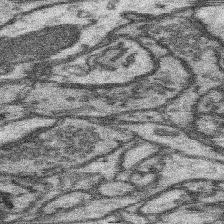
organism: Mouse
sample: Somatosensory cortex neuropil